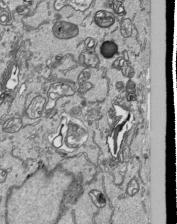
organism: Human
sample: Mitochondria in HCT116 cells